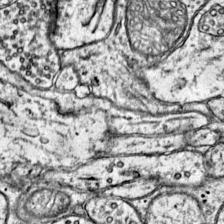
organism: Mouse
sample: Primary visual cortex